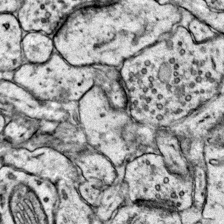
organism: Mouse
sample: Primary visual cortex